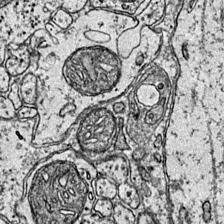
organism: Mouse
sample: Primary visual cortex